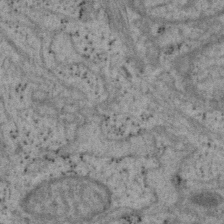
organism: Human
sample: HeLa cells